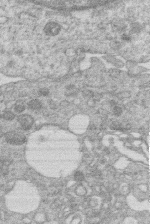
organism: Human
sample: Macrophage cells